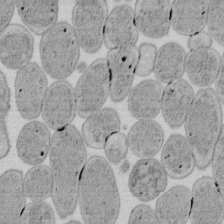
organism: E. coli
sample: Bacterial nucleoid